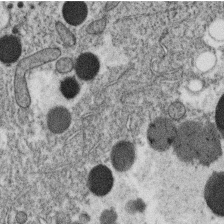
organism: C. elegans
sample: C. elegans oocyte; sperm cells